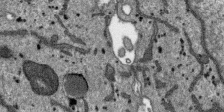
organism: Human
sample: Lung epithelial cells, uninfected (mock) control